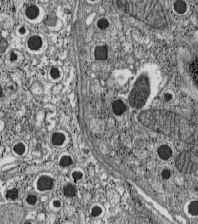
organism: C57BL Mouse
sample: Pancreatic islet